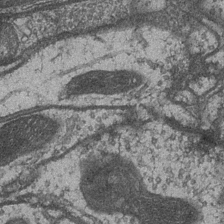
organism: Drosophila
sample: Optic medulla